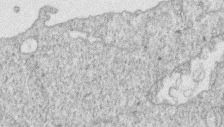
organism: Human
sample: HeLa cell HIV synapse